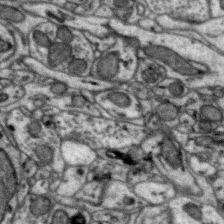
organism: Zebra finch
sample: Brain